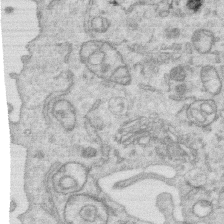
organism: Human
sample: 1205lu cells